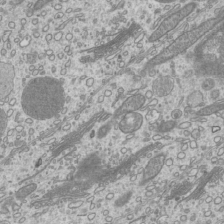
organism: Mouse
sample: Cilia; mouse epididymis